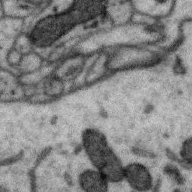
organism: Zebra finch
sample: Brain